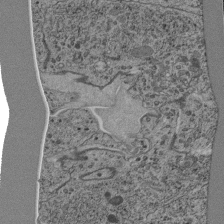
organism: C. elegans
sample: C. elegans pharynx